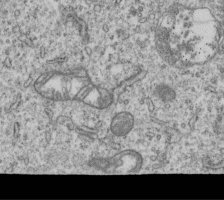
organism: Human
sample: MDA-MB-231 cells